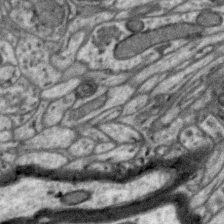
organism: Zebra finch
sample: Brain